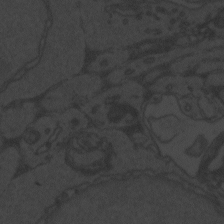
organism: Zebrafish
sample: Macrophage infected with Toxoplasma gondii